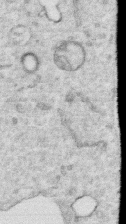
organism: Human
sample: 1205lu cells